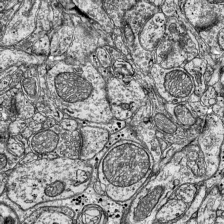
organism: Mouse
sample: Visual Cortex